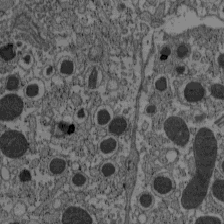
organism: C57BL Mouse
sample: Pancreatic islet